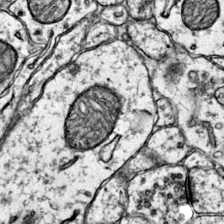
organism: Mouse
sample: Primary visual cortex